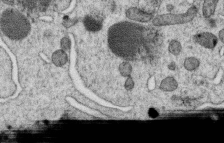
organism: C. elegans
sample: C. elegans oocyte; sperm cells